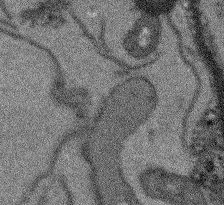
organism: Arabidopsis thaliana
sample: Root tip